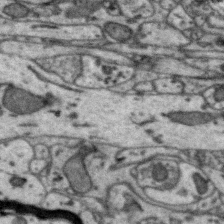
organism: Zebra finch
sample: Brain